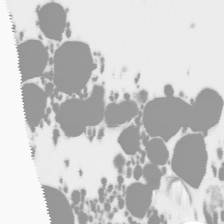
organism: Human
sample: THP-1 cells